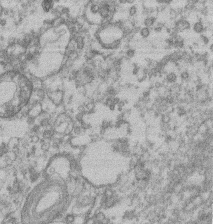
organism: Mouse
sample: T cell stromal cell synapse